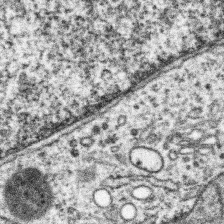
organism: Human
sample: HeLa cells